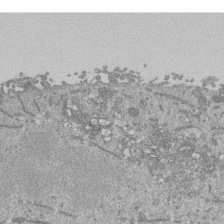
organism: Mouse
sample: ED-1 cell nuclei; centrioles